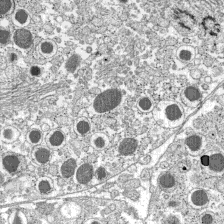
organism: C57BL Mouse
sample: Pancreatic islet